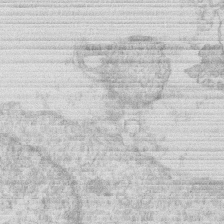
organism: Human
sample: Macrophage cells